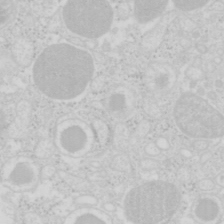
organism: Mouse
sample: Pancreas